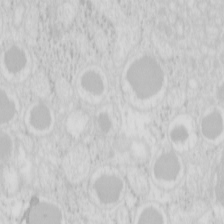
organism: Mouse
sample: Pancreas